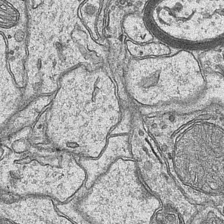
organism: Mouse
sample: CA1 Hippocampus